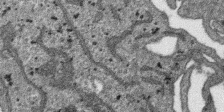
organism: Human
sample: Lung epithelial cells infected with SARS-CoV-2